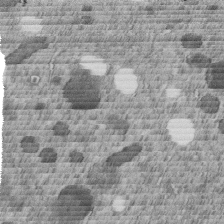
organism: C. elegans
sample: C. elegans embryo early stage